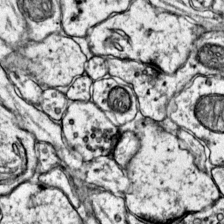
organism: Mouse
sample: Primary visual cortex